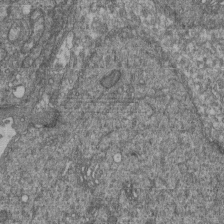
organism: Human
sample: Retinal organoid Rod and Cone cells